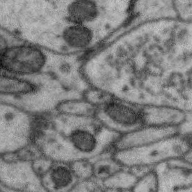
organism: Zebra finch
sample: Brain